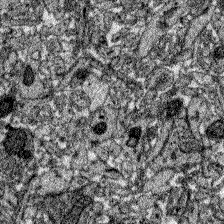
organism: Zebrafish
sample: Larval olfactory bulb